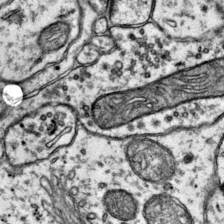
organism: Mouse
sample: Primary visual cortex